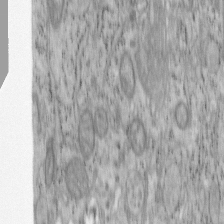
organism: Human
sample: HeLa cells